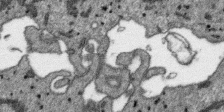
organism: Human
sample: Lung epithelial cells, uninfected (mock) control